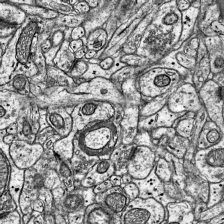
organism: Mouse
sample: Visual Cortex